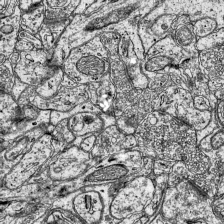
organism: Mouse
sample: Visual Cortex